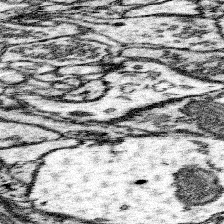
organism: Mouse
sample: Somatosensory cortex neuropil